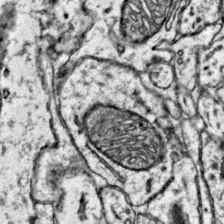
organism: Mouse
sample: Primary visual cortex